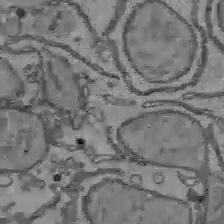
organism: C57BL Mouse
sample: Liver